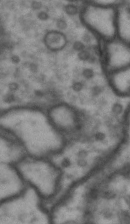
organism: Drosophila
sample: Brain